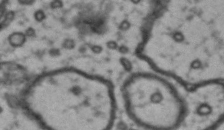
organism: Drosophila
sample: Brain